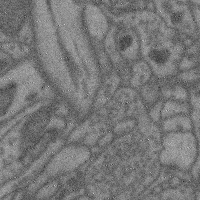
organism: Mouse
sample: Cerebral cortex